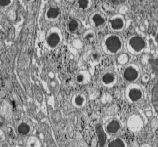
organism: C57BL Mouse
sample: Pancreatic islet